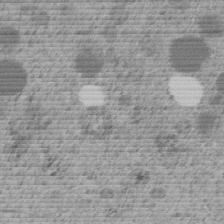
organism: C. elegans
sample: C. elegans embryo early stage